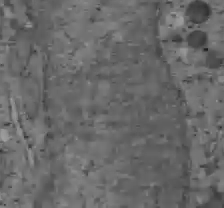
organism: C57BL Mouse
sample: Liver